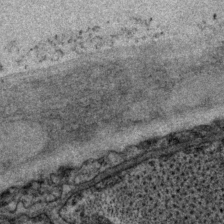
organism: P. pacificus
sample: Pharynx